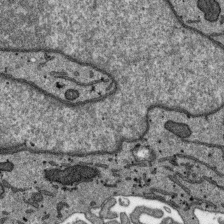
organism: Human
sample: Lung epithelial cells, uninfected (mock) control